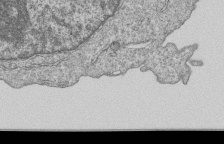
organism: Human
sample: MDA-MB-231 cells